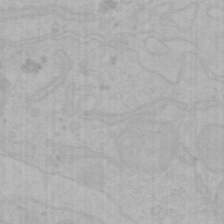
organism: Mouse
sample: Choroid plexus